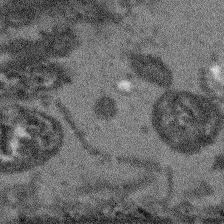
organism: Arabidopsis thaliana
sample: Root tip